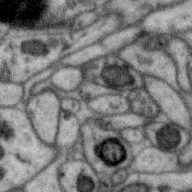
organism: Zebra finch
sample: Brain